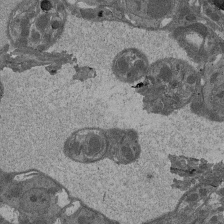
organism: Drosophila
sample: Antenna